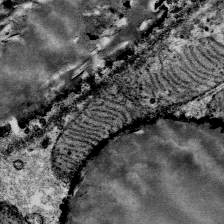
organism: Mouse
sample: Mouse Salivary gland